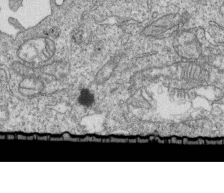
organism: Human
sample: HeLa cell HIV synapse